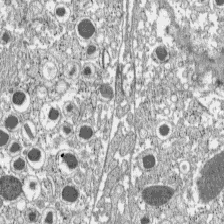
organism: C57BL Mouse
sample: Pancreatic islet